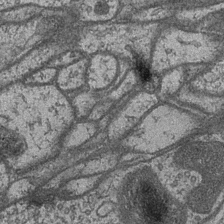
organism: Drosophila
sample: Optic medulla